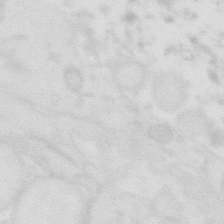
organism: Human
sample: HeLa cells